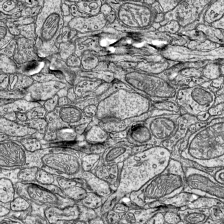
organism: Mouse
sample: Visual Cortex